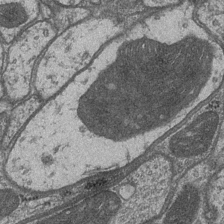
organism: Drosophila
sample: Optic medulla